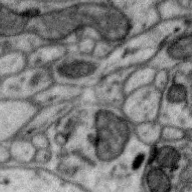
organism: Zebra finch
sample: Brain